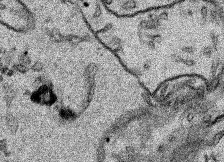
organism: Human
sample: Mitochondria in HCT116 cells